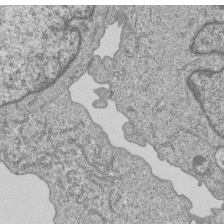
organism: Human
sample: MDA-MB-231 cells